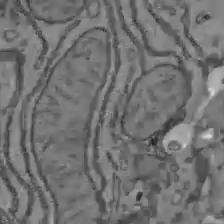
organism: C57BL Mouse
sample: Liver